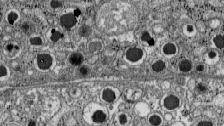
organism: C57BL Mouse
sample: Pancreatic islet